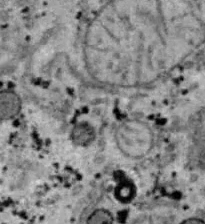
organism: Mouse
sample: Liver from an obese (ob/ob) mouse